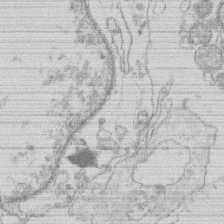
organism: Human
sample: Macrophage cells